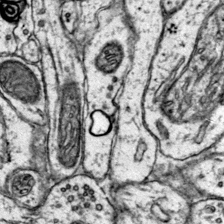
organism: Mouse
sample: Primary visual cortex